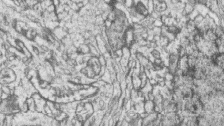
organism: Zebrafish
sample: synaptic ribbons in rod cells and cone cells